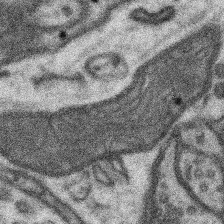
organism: Mouse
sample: Somatosensory cortex neuropil